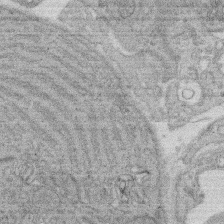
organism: Rat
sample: Salivary granule